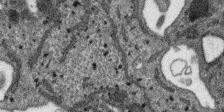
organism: Human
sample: Lung epithelial cells infected with SARS-CoV-2